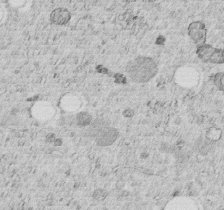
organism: C. elegans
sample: C. elegans embryo early stage